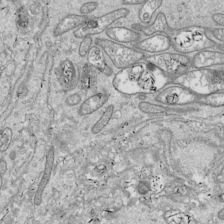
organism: Drosophila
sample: Cell division; meiosis; drosophila spermatocytes